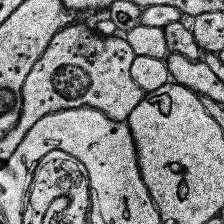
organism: Human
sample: Temporal Lobe